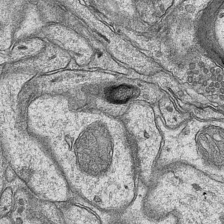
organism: Mouse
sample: CA1 Hippocampus